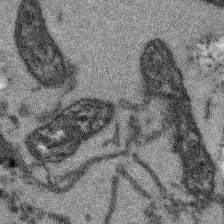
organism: Arabidopsis thaliana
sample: Root tip